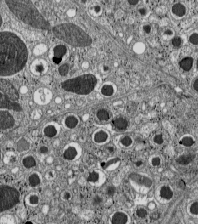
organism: C57BL Mouse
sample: Pancreatic islet